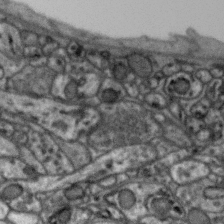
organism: Zebra finch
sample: Brain